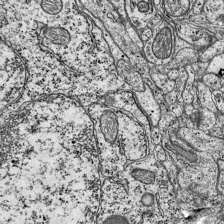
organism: Mouse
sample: Visual Cortex